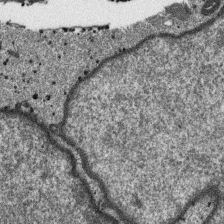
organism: Human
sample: Lung epithelial cells infected with SARS-CoV-2